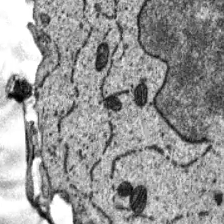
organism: Human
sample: HeLa cells